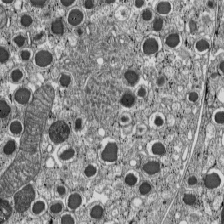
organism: C57BL Mouse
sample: Pancreatic islet